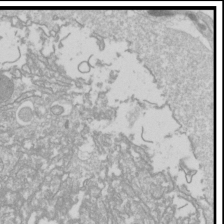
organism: Drosophila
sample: Cell division; meiosis; drosophila spermatocytes